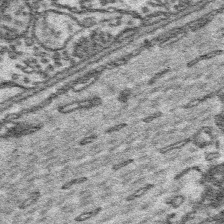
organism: Platynereis dumerilii